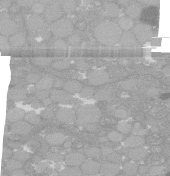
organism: C. elegans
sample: C. elegans oocyte; sperm cells